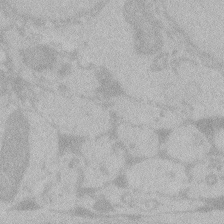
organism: Zebrafish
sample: Macrophage infected with Toxoplasma gondii